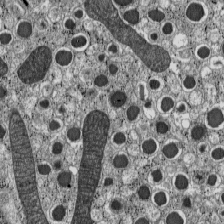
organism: C57BL Mouse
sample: Pancreatic islet